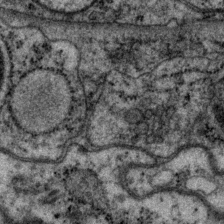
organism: P. pacificus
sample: Pharynx